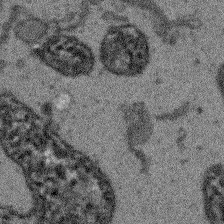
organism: Arabidopsis thaliana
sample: Root tip